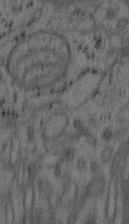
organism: Human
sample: HeLa cells